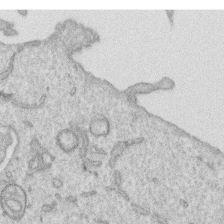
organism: Human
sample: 1205lu cells